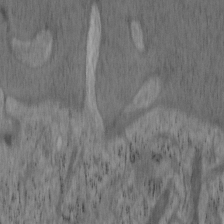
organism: Human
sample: HeLa cells